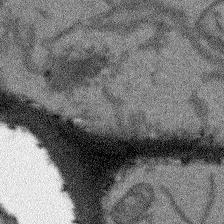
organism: Arabidopsis thaliana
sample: Root tip